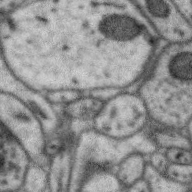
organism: Zebra finch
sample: Brain